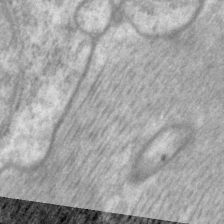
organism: P. pacificus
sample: Pharynx